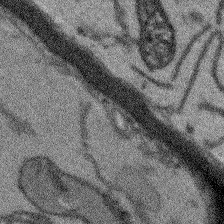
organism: Arabidopsis thaliana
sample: Root tip